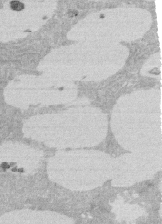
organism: Rat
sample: Salivary granule